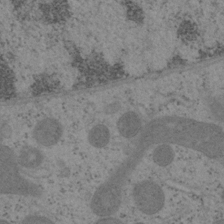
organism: Mouse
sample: OT-I killer T cells with ID8 ovarian cancer cells